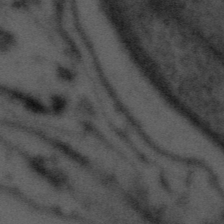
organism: Tuwongella immobilis